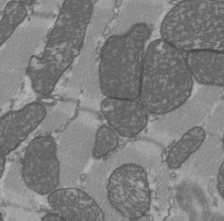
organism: C57BL Mouse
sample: Heart